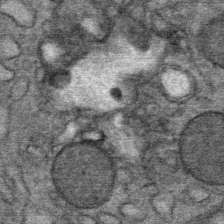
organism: Mouse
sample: Mouse Salivary gland